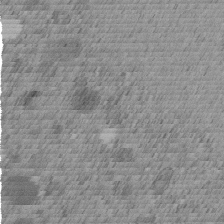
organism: C. elegans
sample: C. elegans embryo early stage